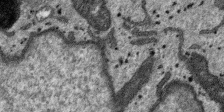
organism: Human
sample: Lung epithelial cells, uninfected (mock) control